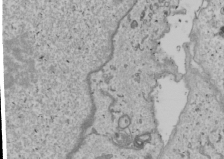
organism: Human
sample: Mitochondria in U2OS cells